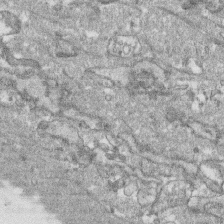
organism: Human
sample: CRL-1474